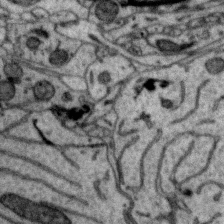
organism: Zebra finch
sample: Brain